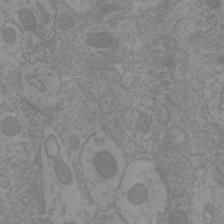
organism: Mouse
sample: Cortical neurons